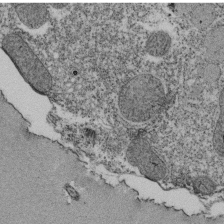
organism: Tetrahymena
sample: Cilia in tetrahymena